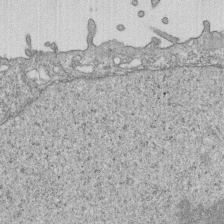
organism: Human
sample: HeLa cell HIV synapse